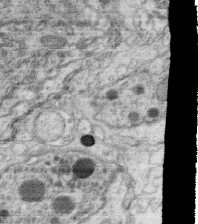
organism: C. elegans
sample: C. elegans oocyte; sperm cells